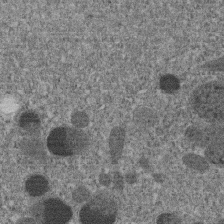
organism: C. elegans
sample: C. elegans embryo early stage